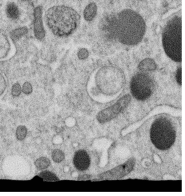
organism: C. elegans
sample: C. elegans oocyte; sperm cells